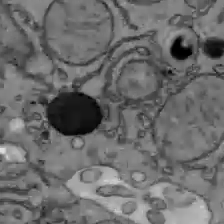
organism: C57BL Mouse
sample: Liver